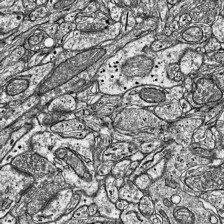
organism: Mouse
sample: Visual Cortex